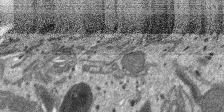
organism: Human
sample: Lung epithelial cells infected with SARS-CoV-2